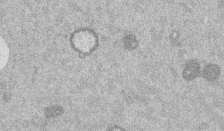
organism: Mouse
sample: Dividing mouse embryo 1 cell stage